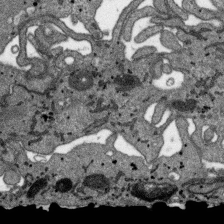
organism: Human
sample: Lung epithelial cells, uninfected (mock) control